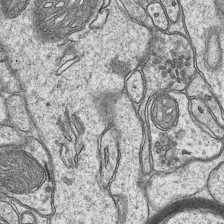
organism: Mouse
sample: CA1 Hippocampus